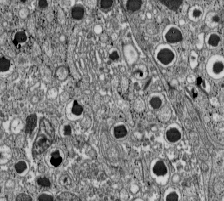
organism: C57BL Mouse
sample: Pancreatic islet